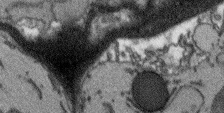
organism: Arabidopsis thaliana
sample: Root tip